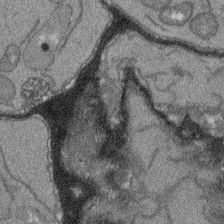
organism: Arabidopsis thaliana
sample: Root tip